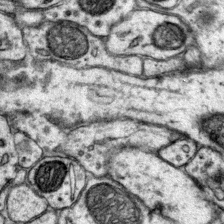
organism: Mouse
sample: Primary visual cortex